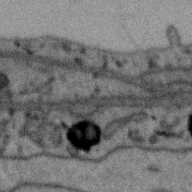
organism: Zebra finch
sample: Brain